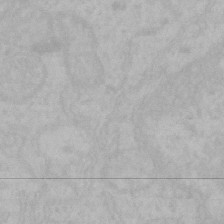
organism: Mouse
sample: Choroid plexus